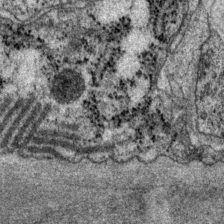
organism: P. pacificus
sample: Pharynx